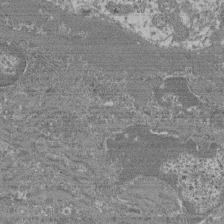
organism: Mouse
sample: Glomerulus